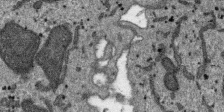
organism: Human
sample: Lung epithelial cells, uninfected (mock) control